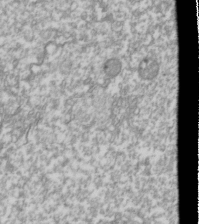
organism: Drosophila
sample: Cell division; meiosis; drosophila spermatocytes